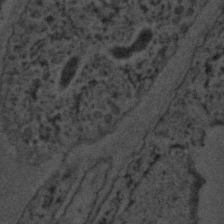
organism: C. elegans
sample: C. elegans embryo